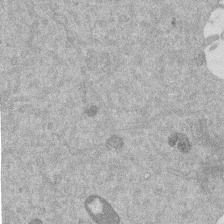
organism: Mouse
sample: Dividing mouse embryo 1 cell stage